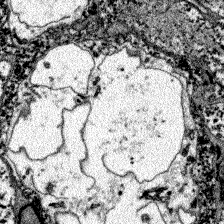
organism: Zebrafish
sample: Larval olfactory bulb